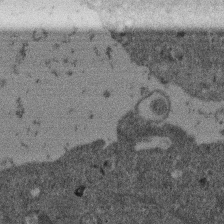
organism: Mouse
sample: Dividing mouse embryo 1 cell stage